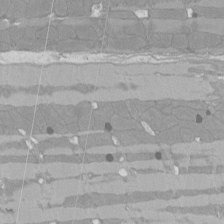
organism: Rat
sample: Left ventricle